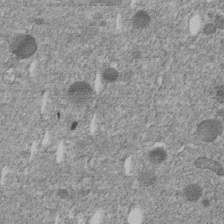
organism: C. elegans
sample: C. elegans embryo early stage